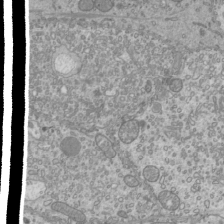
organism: Mouse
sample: Cilia; mouse epididymis